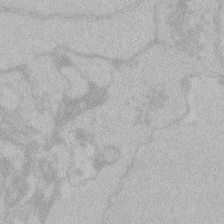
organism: Zebrafish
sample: Macrophage infected with Toxoplasma gondii